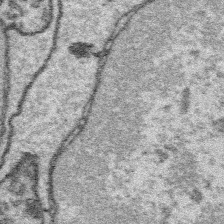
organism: Platynereis dumerilii